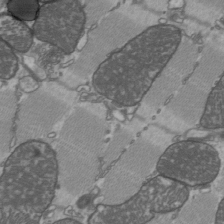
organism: C57BL Mouse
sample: Heart